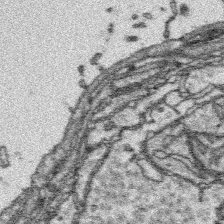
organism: Platynereis dumerilii